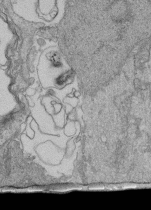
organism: Human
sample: Retinal organoid Rod and Cone cells